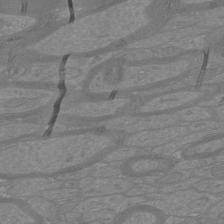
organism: Mouse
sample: Cortical neurons